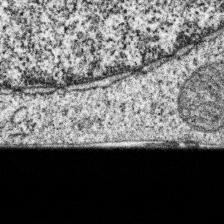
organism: Human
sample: HeLa cells